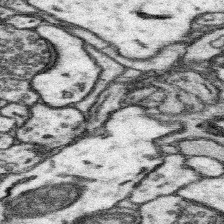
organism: Mouse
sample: Somatosensory cortex neuropil